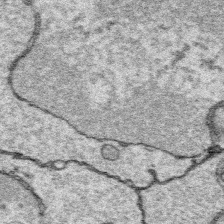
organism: Platynereis dumerilii